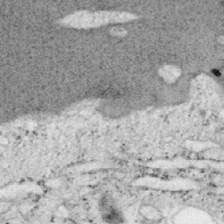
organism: Mouse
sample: OT-I killer T cells with ID8 ovarian cancer cells